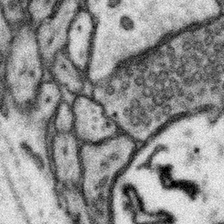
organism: Mouse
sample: Somatosensory cortex neuropil